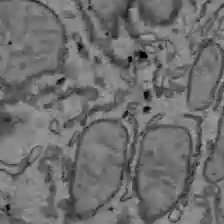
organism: C57BL Mouse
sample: Liver